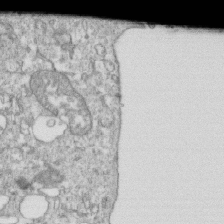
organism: Mouse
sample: Activated OT-1 CD8+ T cells